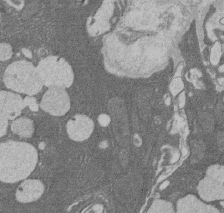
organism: Rat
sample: Salivary granule